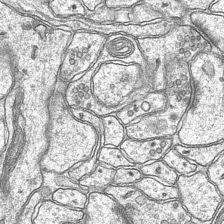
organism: Mouse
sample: CA1 Hippocampus